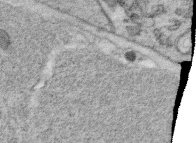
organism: C. elegans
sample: C. elegans oocyte; sperm cells